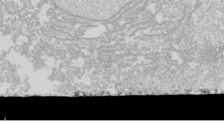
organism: Drosophila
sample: Cell division; meiosis; drosophila spermatocytes